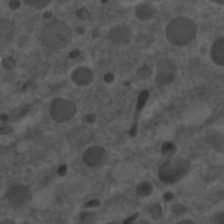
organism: C. elegans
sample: C. elegans embryo